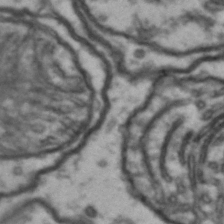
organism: Drosophila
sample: Brain